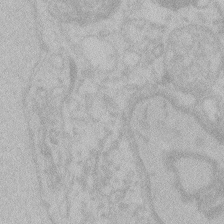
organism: Zebrafish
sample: Macrophage infected with Toxoplasma gondii